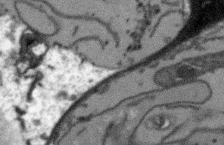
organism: Arabidopsis thaliana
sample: Root tip